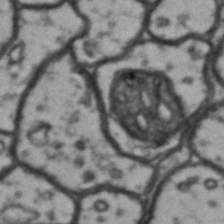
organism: Drosophila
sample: Brain